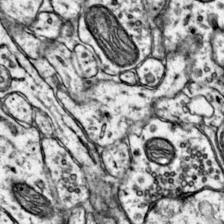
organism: Mouse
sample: Primary visual cortex